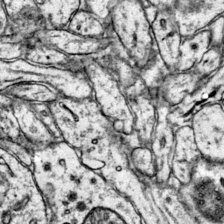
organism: Mouse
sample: Primary visual cortex